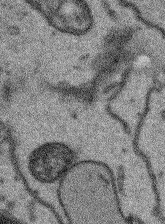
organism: Arabidopsis thaliana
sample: Root tip